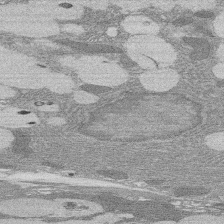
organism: Rat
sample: Salivary granule